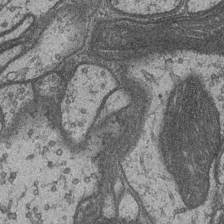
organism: Drosophila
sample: Optic medulla